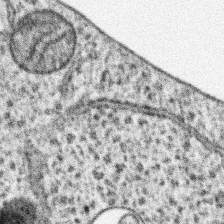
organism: Human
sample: HeLa cells